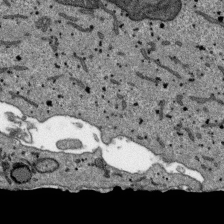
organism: Human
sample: Lung epithelial cells, uninfected (mock) control